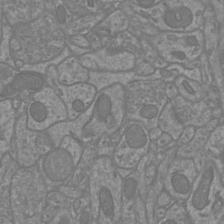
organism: Mouse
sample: Cortical neurons